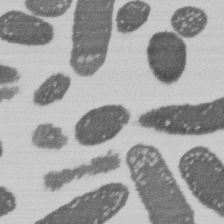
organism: E. coli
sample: Bacterial nucleoid